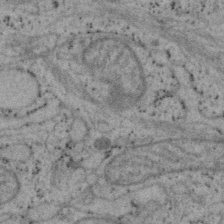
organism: Human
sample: HeLa cells